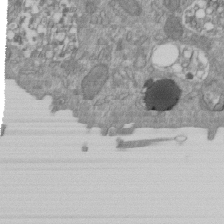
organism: Mouse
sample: ED-1 cell nuclei; centrioles